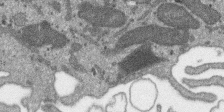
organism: Human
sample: Lung epithelial cells infected with SARS-CoV-2